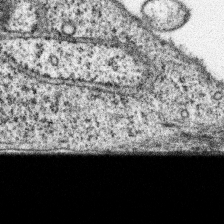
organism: Human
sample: HeLa cells